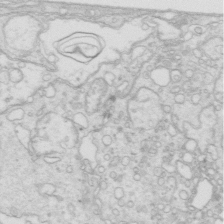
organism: Mouse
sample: Multiciliated cells